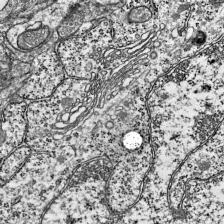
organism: Mouse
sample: Visual Cortex